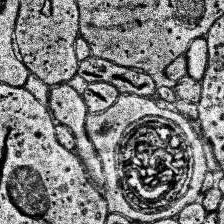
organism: Human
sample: Temporal Lobe